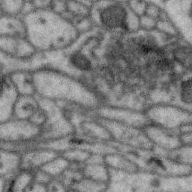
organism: Zebra finch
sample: Brain